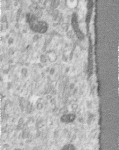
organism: Human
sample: Centriole in RPE cells